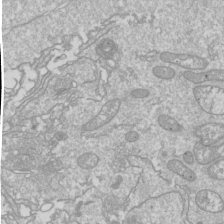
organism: Drosophila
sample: Cell division; meiosis; drosophila spermatocytes